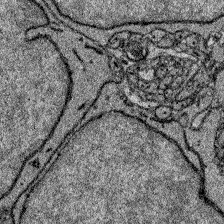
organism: Zebrafish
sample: Larval olfactory bulb